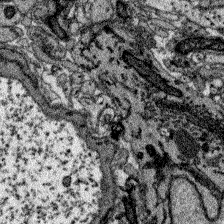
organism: Zebrafish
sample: Larval olfactory bulb